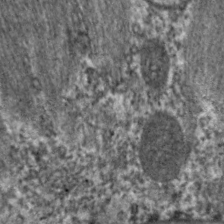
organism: C. elegans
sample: Pharynx